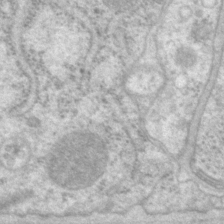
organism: P. pacificus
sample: Pharynx